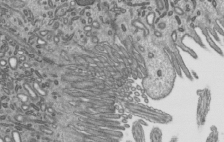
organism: Mouse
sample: Mouse epididymis efferent ductule cilia